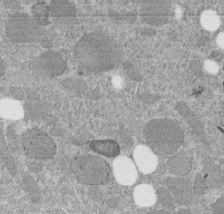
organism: C. elegans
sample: C. elegans embryo early stage